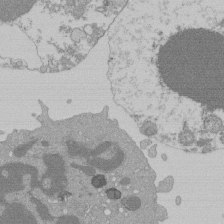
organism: Mouse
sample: Activated Pmel transgenic CD8+ T Cells